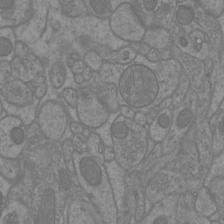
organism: Mouse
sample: Cortical neurons